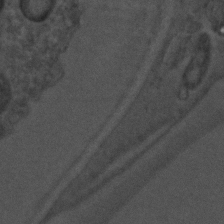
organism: C. elegans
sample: C. elegans embryo